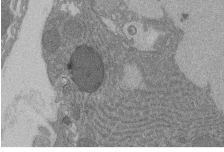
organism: Rat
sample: Salivary granule